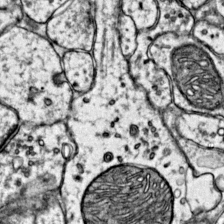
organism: Mouse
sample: Primary visual cortex